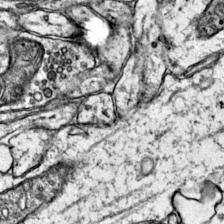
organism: Mouse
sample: Primary visual cortex